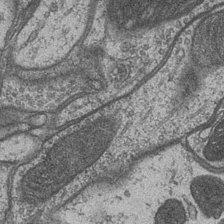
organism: Drosophila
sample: Optic medulla